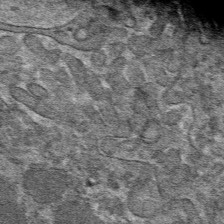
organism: Mouse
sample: Mouse hepatocytes